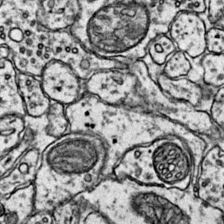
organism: Mouse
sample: Primary visual cortex